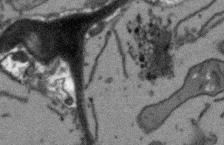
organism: Arabidopsis thaliana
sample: Root tip